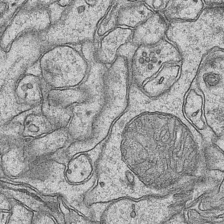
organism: Mouse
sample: CA1 Hippocampus